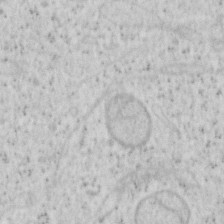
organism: Human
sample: HeLa cells